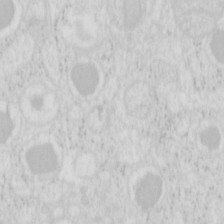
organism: Mouse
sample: Pancreas